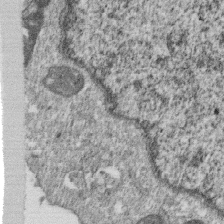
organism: African green monkey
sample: Vero E6 cells infected with SARS-CoV-2